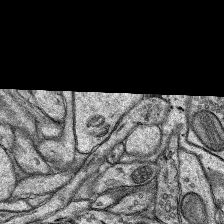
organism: Rat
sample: Hippocampus